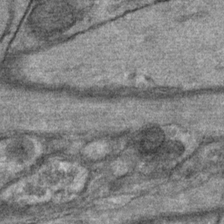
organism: Mouse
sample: Mouse Salivary gland